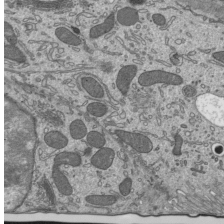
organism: Mouse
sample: Mouse epididymis efferent ductule cilia